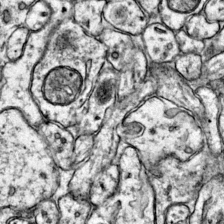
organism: Mouse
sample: Primary visual cortex